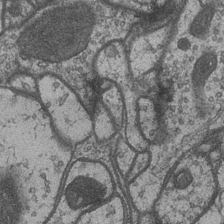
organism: Drosophila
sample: Optic medulla